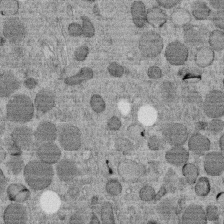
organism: C. elegans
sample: C. elegans embryo early stage